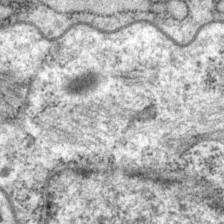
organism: P. pacificus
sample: Pharynx